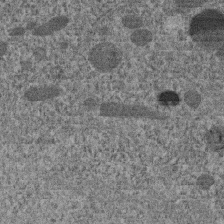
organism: C. elegans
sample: C. elegans embryo early stage